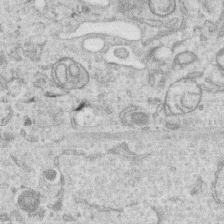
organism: Human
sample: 1205lu cells